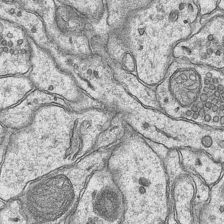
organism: Mouse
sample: CA1 Hippocampus